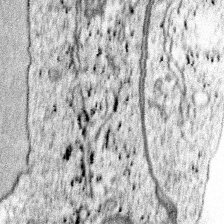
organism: Human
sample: HeLa cells